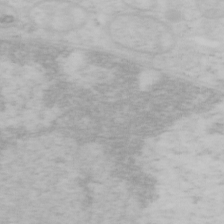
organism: Mouse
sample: OT-I killer T cells with ID8 ovarian cancer cells